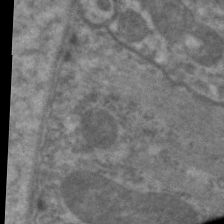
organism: C. elegans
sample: Pharynx